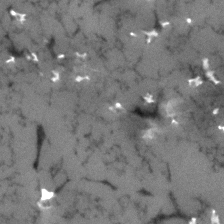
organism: Human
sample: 1205lu cells